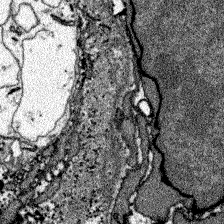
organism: Zebrafish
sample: Larval olfactory bulb